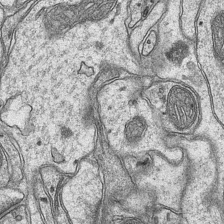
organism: Mouse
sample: CA1 Hippocampus